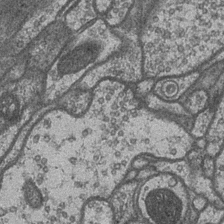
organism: Drosophila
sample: Optic medulla